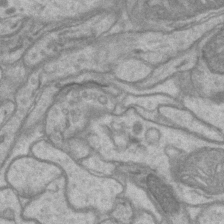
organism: Mouse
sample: CA1 Hippocampus